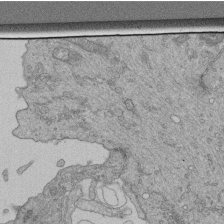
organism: Human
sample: Retinal organoid Rod and Cone cells